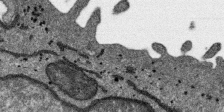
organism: Human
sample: Lung epithelial cells, uninfected (mock) control